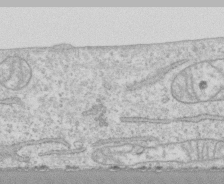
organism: Human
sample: CRL-1474